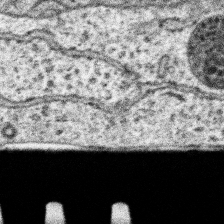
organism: Human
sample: HeLa cells